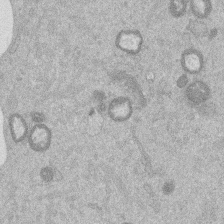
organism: Mouse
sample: Dividing mouse embryo 1 cell stage